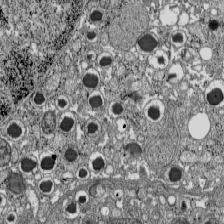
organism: C57BL Mouse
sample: Pancreatic islet